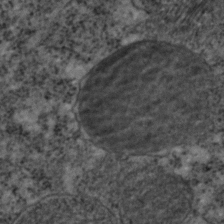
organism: C. elegans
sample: C. elegans embryo